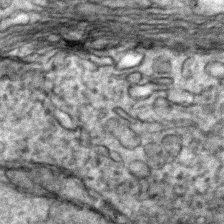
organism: Zebrafish